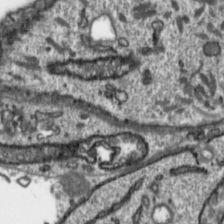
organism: Toxoplasma gondii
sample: Parasites in a vacuole inside a host cell